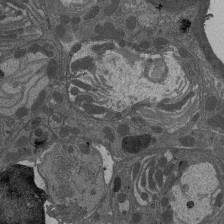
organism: Drosophila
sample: Antenna